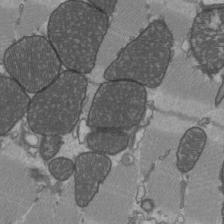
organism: C57BL Mouse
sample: Heart